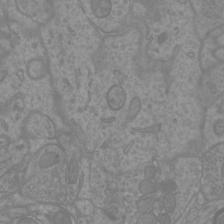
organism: Mouse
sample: Cortical neurons